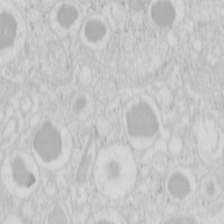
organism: Mouse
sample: Pancreas